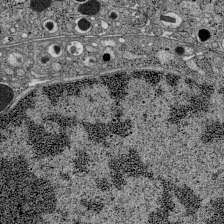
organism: C57BL Mouse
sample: Pancreatic islet